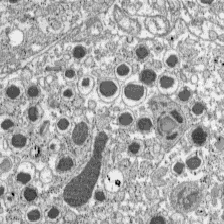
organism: C57BL Mouse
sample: Pancreatic islet